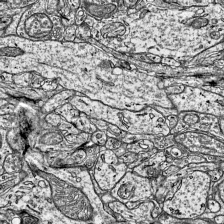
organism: Mouse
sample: Visual Cortex